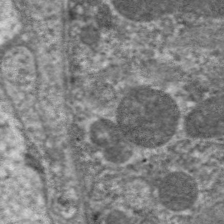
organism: C. elegans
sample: Pharynx